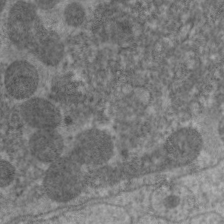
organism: C. elegans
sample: Pharynx